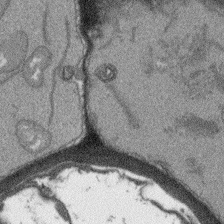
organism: Arabidopsis thaliana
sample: Root tip